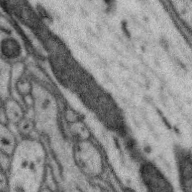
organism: Zebra finch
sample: Brain